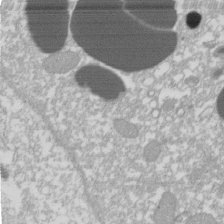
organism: Xenopus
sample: Cilia; centrioles in frog embryo cells